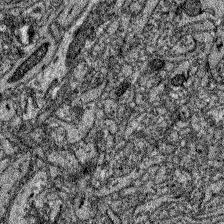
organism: Zebrafish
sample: Larval olfactory bulb